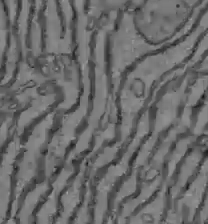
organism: C57BL Mouse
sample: Liver